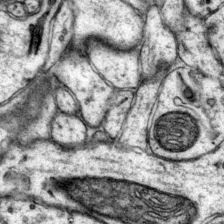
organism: Mouse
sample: Primary visual cortex